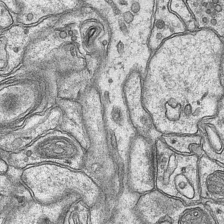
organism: Mouse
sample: CA1 Hippocampus